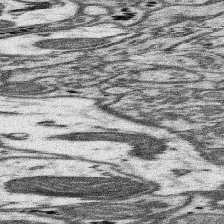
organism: Mouse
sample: Somatosensory cortex neuropil